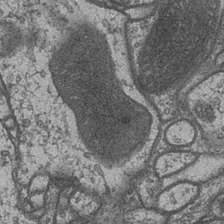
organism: Drosophila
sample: Optic medulla